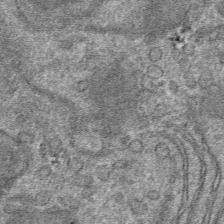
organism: Mouse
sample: Mouse hepatocytes